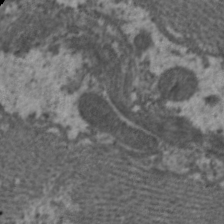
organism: C. elegans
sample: Pharynx